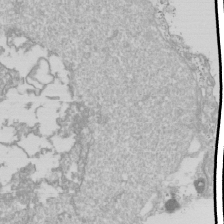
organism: Drosophila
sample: Cell division; meiosis; drosophila spermatocytes